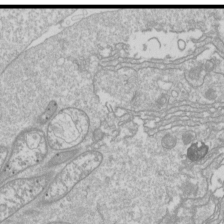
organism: Drosophila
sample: Cell division; meiosis; drosophila spermatocytes